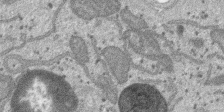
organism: Human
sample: Lung epithelial cells infected with SARS-CoV-2